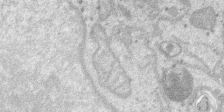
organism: Human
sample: Lung epithelial cells infected with SARS-CoV-2